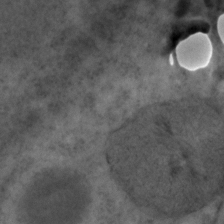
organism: C. elegans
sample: C. elegans embryo